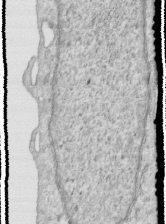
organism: Human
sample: Centriole in RPE cells